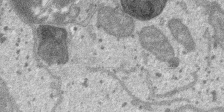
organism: Human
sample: Lung epithelial cells infected with SARS-CoV-2